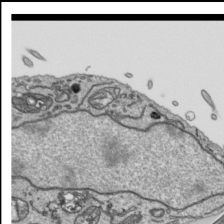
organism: Human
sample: Mitochondria in HCT116 cells